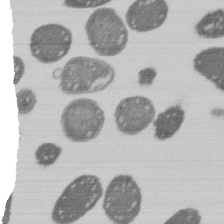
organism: E. coli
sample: Bacterial nucleoid